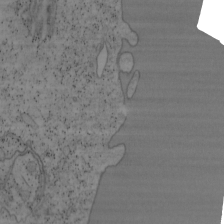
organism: Mouse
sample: OT-I killer T cells with ID8 ovarian cancer cells